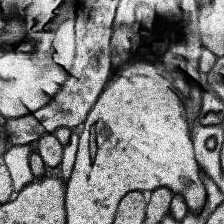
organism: Human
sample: Temporal Lobe